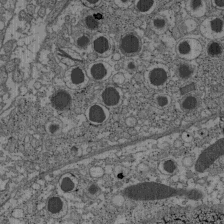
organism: C57BL Mouse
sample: Pancreatic islet